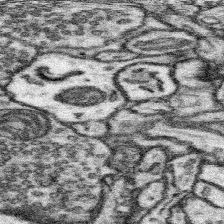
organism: Mouse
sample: Somatosensory cortex neuropil